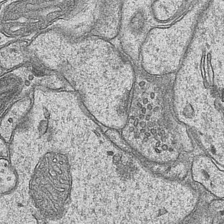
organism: Mouse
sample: CA1 Hippocampus